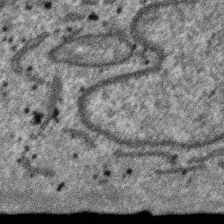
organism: Human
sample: Lung epithelial cells infected with SARS-CoV-2